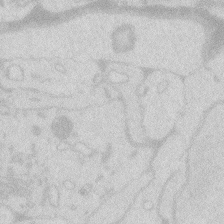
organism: Zebrafish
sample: Macrophage